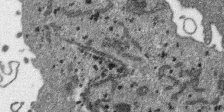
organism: Human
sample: Lung epithelial cells infected with SARS-CoV-2